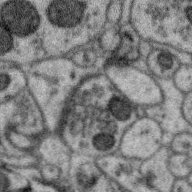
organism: Zebra finch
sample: Brain